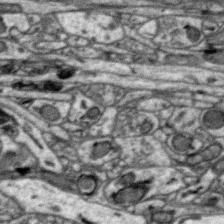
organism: Zebra finch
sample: Brain